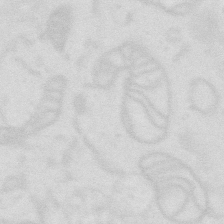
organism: Human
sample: HeLa cells